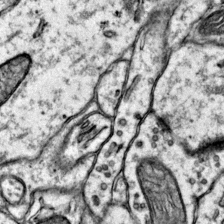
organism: Mouse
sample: Primary visual cortex